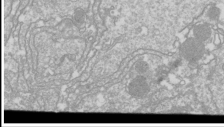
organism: Drosophila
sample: Cell division; meiosis; drosophila spermatocytes